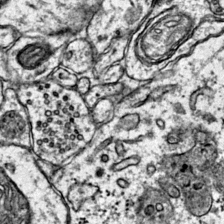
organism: Mouse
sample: Primary visual cortex